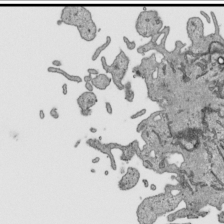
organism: Human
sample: Mitochondria in HCT116 cells